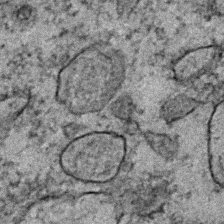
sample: Trachea